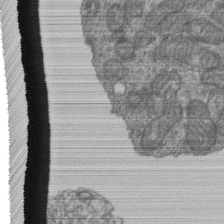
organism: Human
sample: Retinal organoid Rod and Cone cells